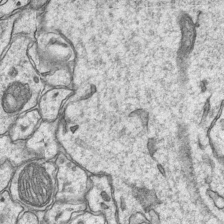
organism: Mouse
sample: CA1 Hippocampus